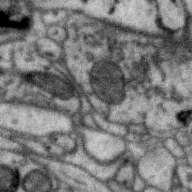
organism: Zebra finch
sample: Brain